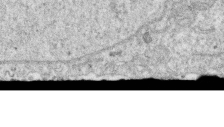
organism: Human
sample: HeLa cell HIV synapse